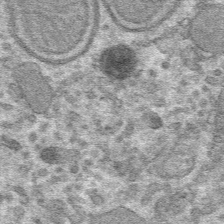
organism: Mouse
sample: Mouse hepatocytes